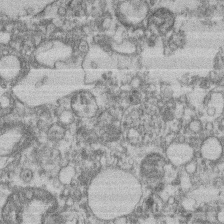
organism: Mouse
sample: T cell stromal cell synapse